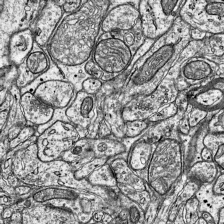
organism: Mouse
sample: Visual Cortex